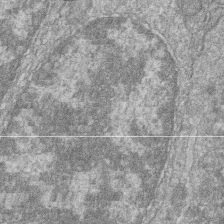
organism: Zebrafish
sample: Cilia; retinal pigment epithelium